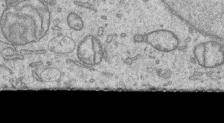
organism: Human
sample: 1205lu cells